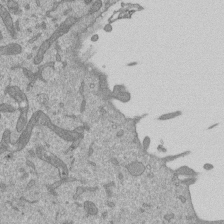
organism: Mouse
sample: ED-1 cell nuclei; centrioles